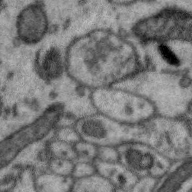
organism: Zebra finch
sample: Brain